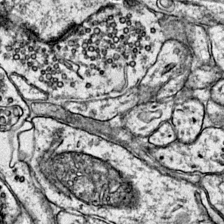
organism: Mouse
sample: Primary visual cortex